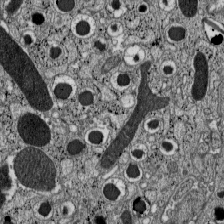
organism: C57BL Mouse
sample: Pancreatic islet